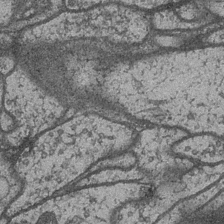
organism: Drosophila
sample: Optic medulla